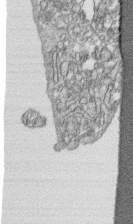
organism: Human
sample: CRL-1474